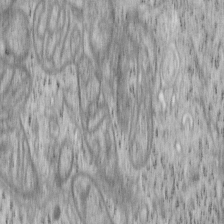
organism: Human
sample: HeLa cells